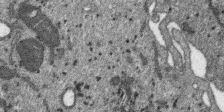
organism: Human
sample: Lung epithelial cells infected with SARS-CoV-2